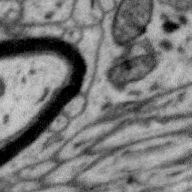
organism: Zebra finch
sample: Brain